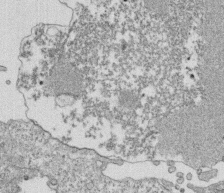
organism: Human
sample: HeLa cell HIV synapse